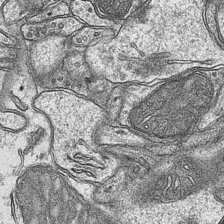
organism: Mouse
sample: CA1 Hippocampus